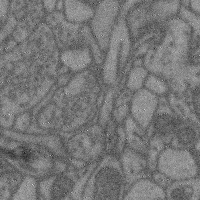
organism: Mouse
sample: Cerebral cortex